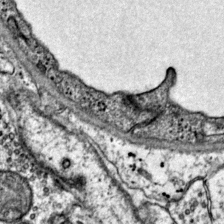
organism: Mouse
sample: Primary visual cortex